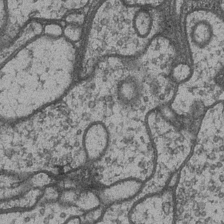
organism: Drosophila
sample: Optic medulla